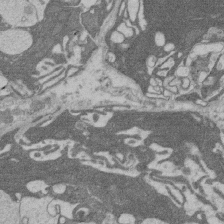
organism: Rat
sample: Salivary granule